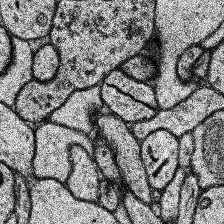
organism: Human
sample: Temporal Lobe